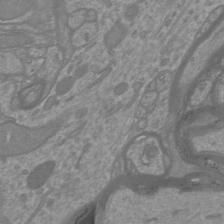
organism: Mouse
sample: Cortical neurons